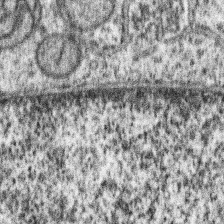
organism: Human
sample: HeLa cells